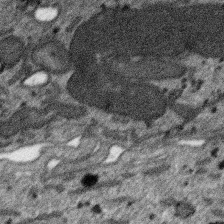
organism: Human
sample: Lung epithelial cells infected with SARS-CoV-2